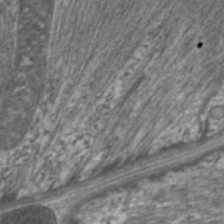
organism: C. elegans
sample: Pharynx